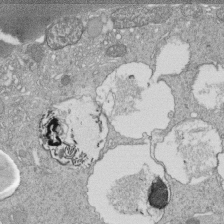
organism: Tetrahymena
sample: Cilia in tetrahymena